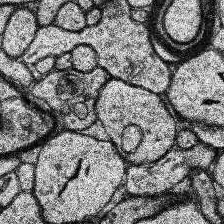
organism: Human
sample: Temporal Lobe